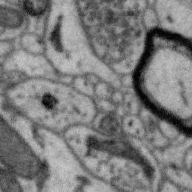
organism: Zebra finch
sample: Brain